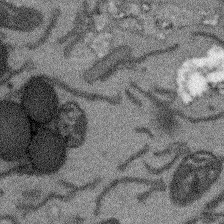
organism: Arabidopsis thaliana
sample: Root tip